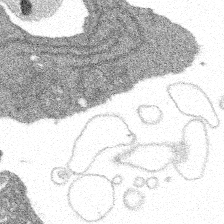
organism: Spongilla lacustris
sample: Multiple